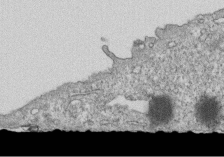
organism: Human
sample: HeLa cell HIV synapse